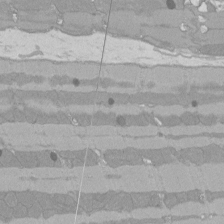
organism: Rat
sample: Left ventricle